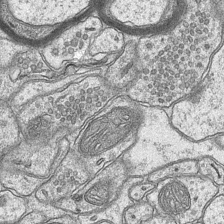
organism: Mouse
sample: CA1 Hippocampus